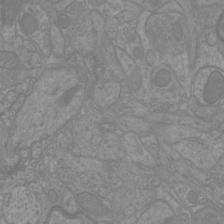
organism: Mouse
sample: Cortical neurons